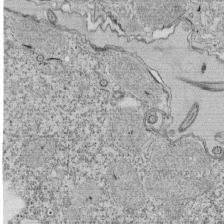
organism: Tetrahymena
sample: Cilia in tetrahymena